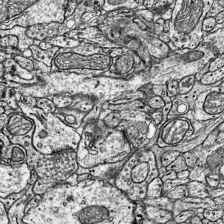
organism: Mouse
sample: Visual Cortex